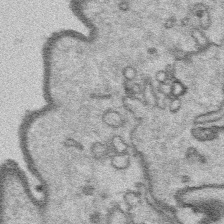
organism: Platynereis dumerilii